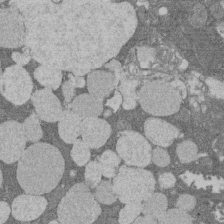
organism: Rat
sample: Salivary granule